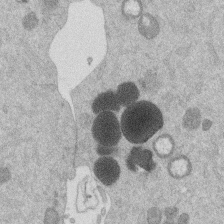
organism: Mouse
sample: Dividing mouse embryo 1 cell stage